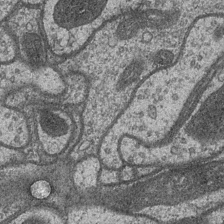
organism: Drosophila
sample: Optic medulla